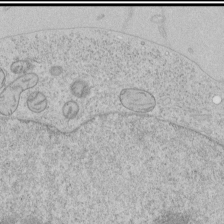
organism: Human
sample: Mitochondria in HCT116 cells